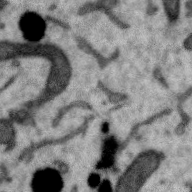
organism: Zebra finch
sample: Brain